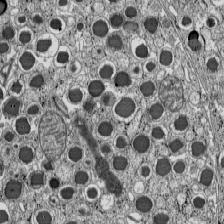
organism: C57BL Mouse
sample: Pancreatic islet